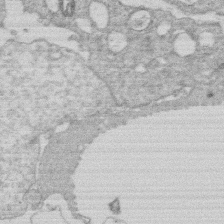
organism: Human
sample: Macrophage cells